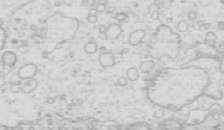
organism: Mouse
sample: Multiciliated cells